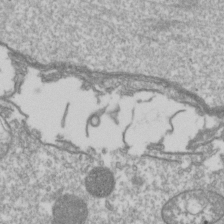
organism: Drosophila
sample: Cell division; meiosis; drosophila spermatocytes